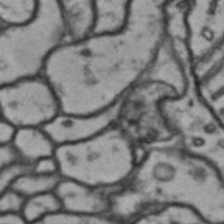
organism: Drosophila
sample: Brain